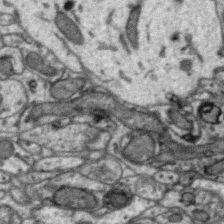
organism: Zebra finch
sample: Brain